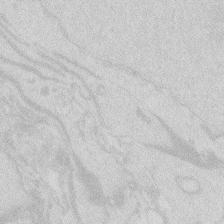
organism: Zebrafish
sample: Macrophage